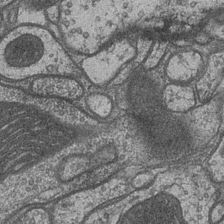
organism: Drosophila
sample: Optic medulla